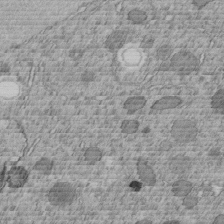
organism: C. elegans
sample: C. elegans embryo early stage